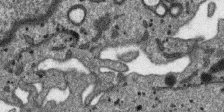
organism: Human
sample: Lung epithelial cells infected with SARS-CoV-2